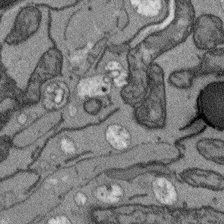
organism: Arabidopsis thaliana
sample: Root tip